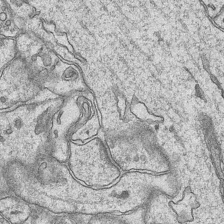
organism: Mouse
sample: CA1 Hippocampus